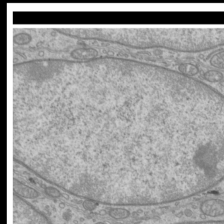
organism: Mouse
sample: Cilia; mouse epididymis